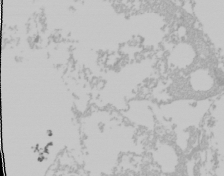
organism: Mouse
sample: Cancer cell death in ED-1 cells